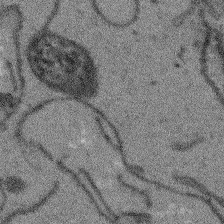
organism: Arabidopsis thaliana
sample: Root tip